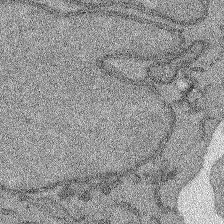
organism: Human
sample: HeLa cells